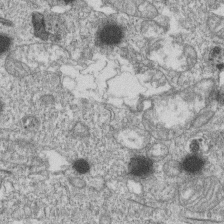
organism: Human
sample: HeLa cell HIV synapse